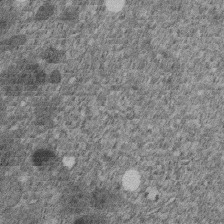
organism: C. elegans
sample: C. elegans embryo early stage